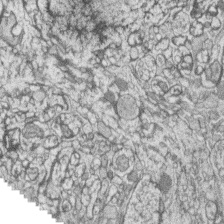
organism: Zebrafish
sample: synaptic ribbons in rod cells and cone cells